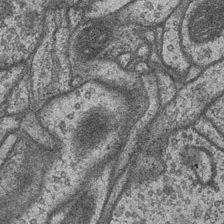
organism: Drosophila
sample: Optic medulla